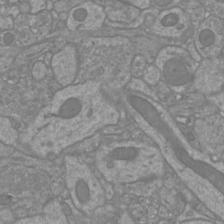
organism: Mouse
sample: Cortical neurons